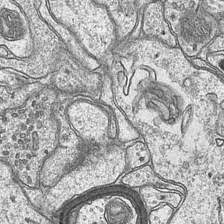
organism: Mouse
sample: CA1 Hippocampus